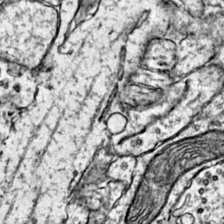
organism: Mouse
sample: Primary visual cortex